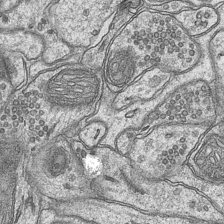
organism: Mouse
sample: CA1 Hippocampus